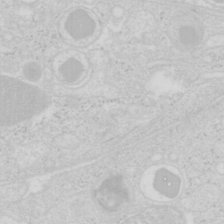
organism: Mouse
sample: Pancreas